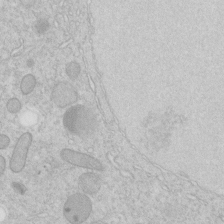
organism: C. elegans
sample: C. elegans embryo early stage